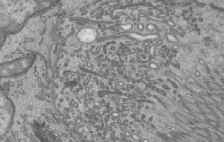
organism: Mouse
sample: Mouse epididymis efferent ductule cilia